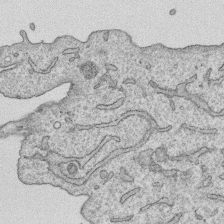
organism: Human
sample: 1205lu cells